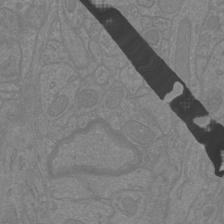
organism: Mouse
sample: Cortical neurons